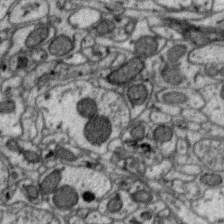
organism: Zebra finch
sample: Brain